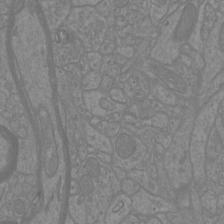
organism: Mouse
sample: Cortical neurons